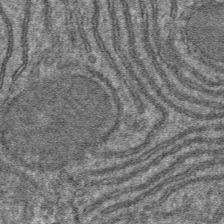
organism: Mouse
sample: Mouse hepatocytes